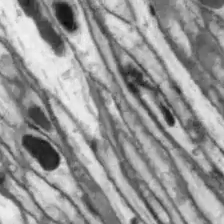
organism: Drosophila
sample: Optic lobe